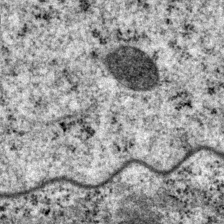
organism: P. pacificus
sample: Pharynx